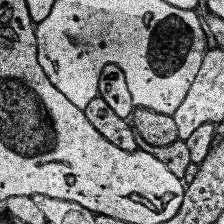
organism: Human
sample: Temporal Lobe